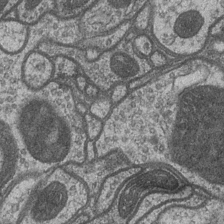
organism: Drosophila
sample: Optic medulla